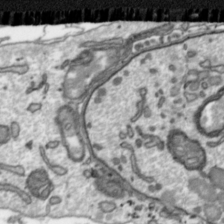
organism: Toxoplasma gondii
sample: Parasites in a vacuole inside a host cell